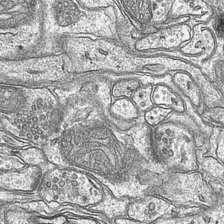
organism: Mouse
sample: CA1 Hippocampus